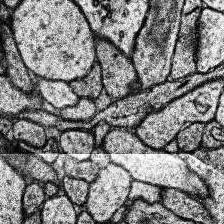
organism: Human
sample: Temporal Lobe